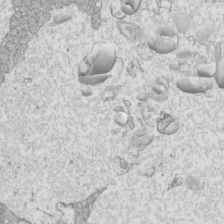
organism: Mouse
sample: Cilia; mouse epididymis